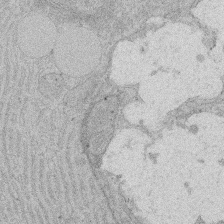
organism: Rat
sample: Salivary granule